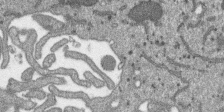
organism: Human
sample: Lung epithelial cells infected with SARS-CoV-2